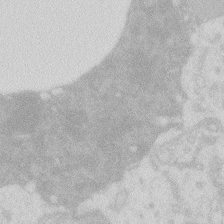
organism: Zebrafish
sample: Macrophage